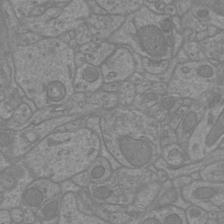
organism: Mouse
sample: Cortical neurons